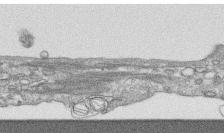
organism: Human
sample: CRL-1474